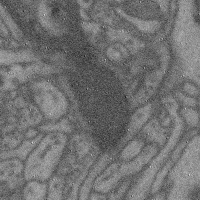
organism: Mouse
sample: Cerebral cortex